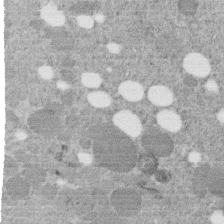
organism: C. elegans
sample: C. elegans embryo early stage